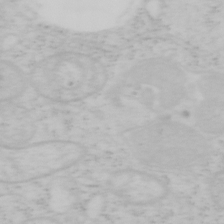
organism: Mouse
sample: OT-I killer T cells with ID8 ovarian cancer cells